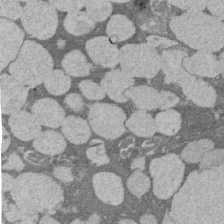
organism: Rat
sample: Salivary granule